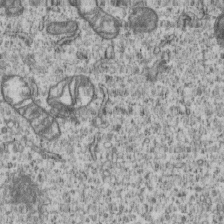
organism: Human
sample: MDA-MB-231 cells